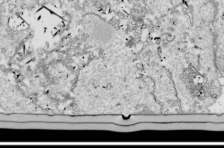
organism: Drosophila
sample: Cell division; meiosis; drosophila spermatocytes